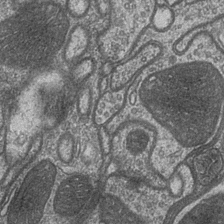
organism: Drosophila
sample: Optic medulla